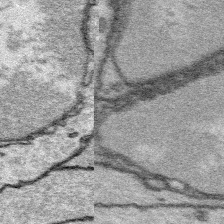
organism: Platynereis dumerilii